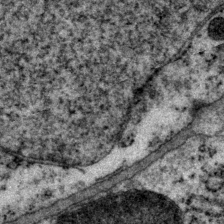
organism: P. pacificus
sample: Pharynx